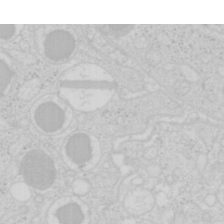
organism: Mouse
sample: Pancreas